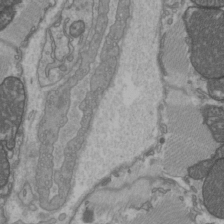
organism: C57BL Mouse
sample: Heart